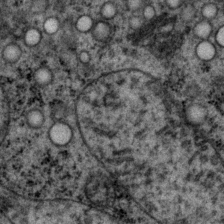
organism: P. pacificus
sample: Pharynx